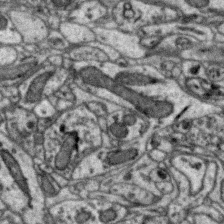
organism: Zebra finch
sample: Brain